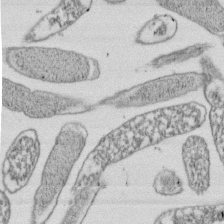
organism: E. coli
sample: Bacterial nucleoid